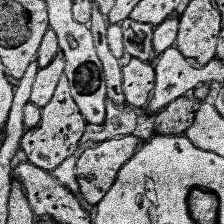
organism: Human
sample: Temporal Lobe